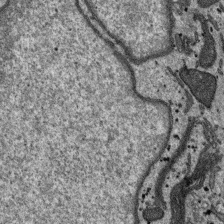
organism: Human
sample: Lung epithelial cells, uninfected (mock) control